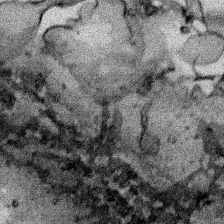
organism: Human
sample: Mitochondria in HCT116 cells